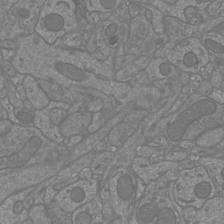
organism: Mouse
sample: Cortical neurons